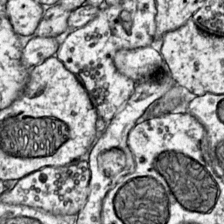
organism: Mouse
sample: Primary visual cortex